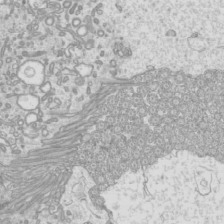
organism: Mouse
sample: Cilia; mouse epididymis